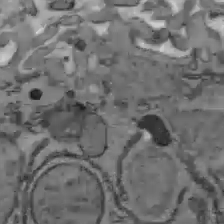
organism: C57BL Mouse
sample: Liver